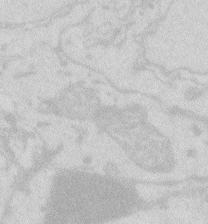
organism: Zebrafish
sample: Macrophage